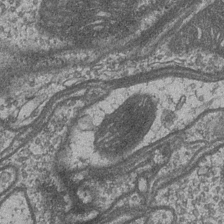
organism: Drosophila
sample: Optic medulla